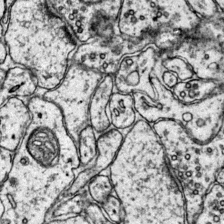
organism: Mouse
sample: Primary visual cortex